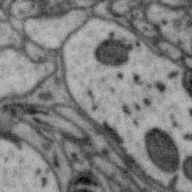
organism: Zebra finch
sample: Brain